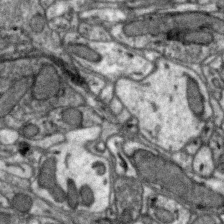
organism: Zebra finch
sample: Brain